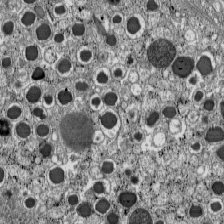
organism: C57BL Mouse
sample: Pancreatic islet